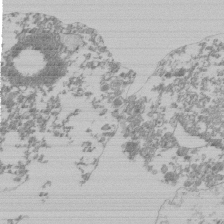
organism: Mouse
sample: Activated Pmel transgenic CD8+ T Cells